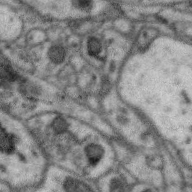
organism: Zebra finch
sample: Brain